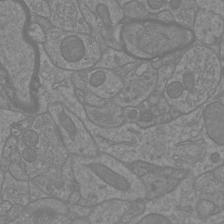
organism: Mouse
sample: Cortical neurons